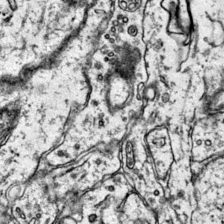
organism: Mouse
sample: Primary visual cortex